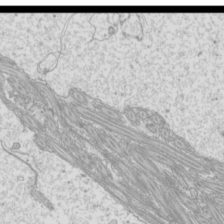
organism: Mouse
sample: Cilia; mouse epididymis